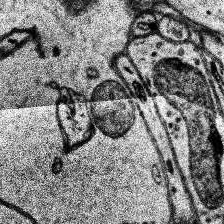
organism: Human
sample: Temporal Lobe